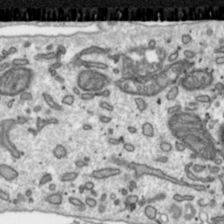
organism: Toxoplasma gondii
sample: Parasites in a vacuole inside a host cell